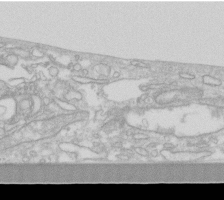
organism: Human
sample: Fibroblast cells